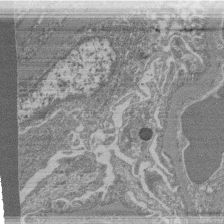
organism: Mouse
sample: Glomerulus